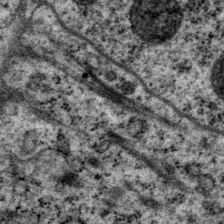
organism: P. pacificus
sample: Pharynx